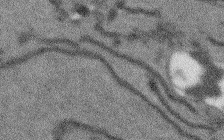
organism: Arabidopsis thaliana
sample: Root tip